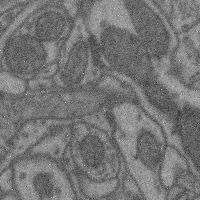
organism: Mouse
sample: Cerebral cortex